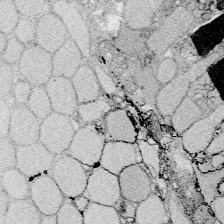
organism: Zebrafish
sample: Whole-Brain